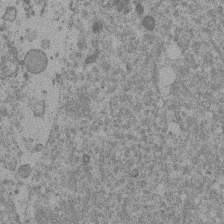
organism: Mouse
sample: Dividing mouse embryo 1 cell stage